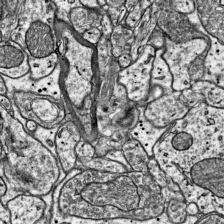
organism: Mouse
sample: Visual Cortex